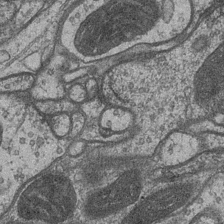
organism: Drosophila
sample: Optic medulla